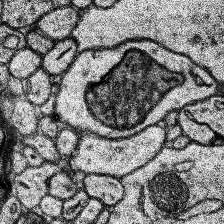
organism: Human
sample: Temporal Lobe